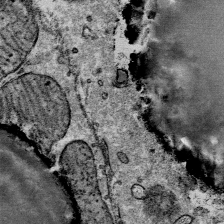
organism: Mouse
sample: Mouse Salivary gland